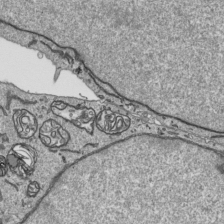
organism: Human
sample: Mitochondria in HCT116 cells